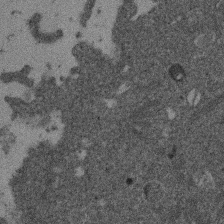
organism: Mouse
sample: Dividing mouse embryo 1 cell stage